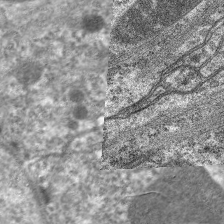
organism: C. elegans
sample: Pharynx